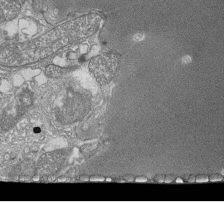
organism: Tetrahymena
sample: Cilia in tetrahymena